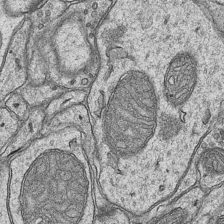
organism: Mouse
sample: CA1 Hippocampus